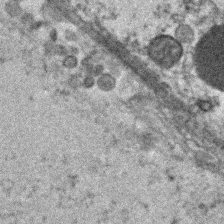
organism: Human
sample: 1205lu cells